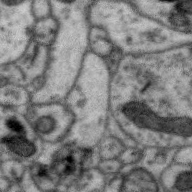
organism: Zebra finch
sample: Brain